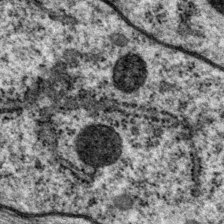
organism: P. pacificus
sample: Pharynx